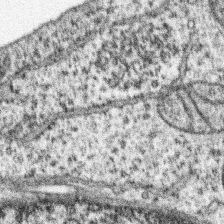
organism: Human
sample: HeLa cells